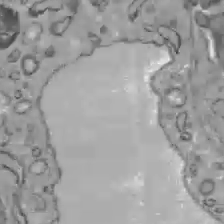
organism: C57BL Mouse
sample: Liver